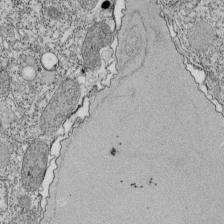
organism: Tetrahymena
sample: Cilia in tetrahymena